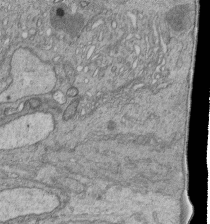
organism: Human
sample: Retinal organoid Rod and Cone cells